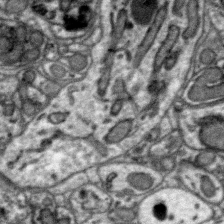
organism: Zebra finch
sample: Brain